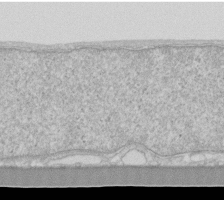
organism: Human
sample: Fibroblast cells